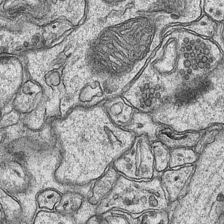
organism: Mouse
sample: CA1 Hippocampus